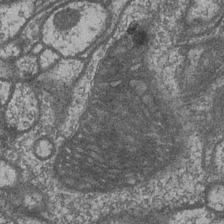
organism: Drosophila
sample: Optic medulla